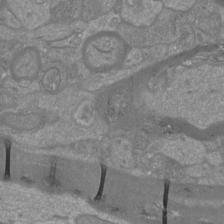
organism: Mouse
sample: Cortical neurons